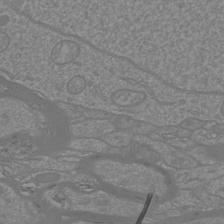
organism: Mouse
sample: Cortical neurons